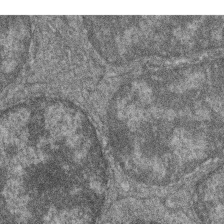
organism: Zebrafish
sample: Cilia; retinal pigment epithelium